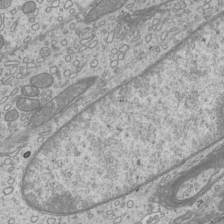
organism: Mouse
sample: Cilia; mouse epididymis